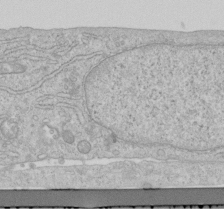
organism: Human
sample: Centriole in RPE cells